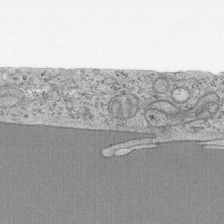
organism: Human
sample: HeLa cells